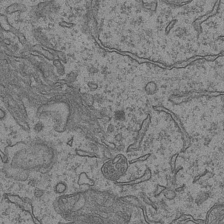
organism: Mouse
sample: CA1 Hippocampus